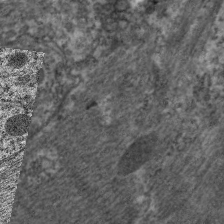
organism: C. elegans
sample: Pharynx